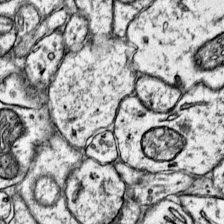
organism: Mouse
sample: Primary visual cortex